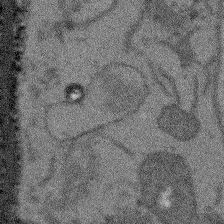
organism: Arabidopsis thaliana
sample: Root tip